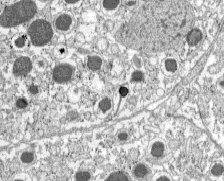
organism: C57BL Mouse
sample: Pancreatic islet